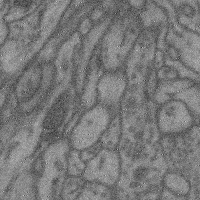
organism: Mouse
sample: Cerebral cortex